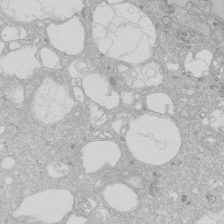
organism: Human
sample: Caco-2 cells